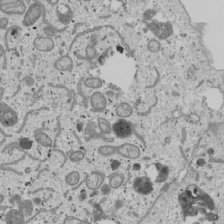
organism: Human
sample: Mitochondria in U2OS cells